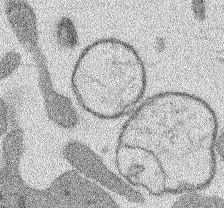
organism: Human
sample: HeLa cells